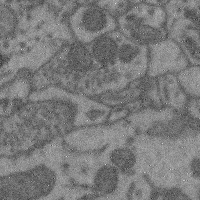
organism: Mouse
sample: Cerebral cortex